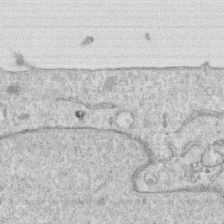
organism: Human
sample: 1205lu cells